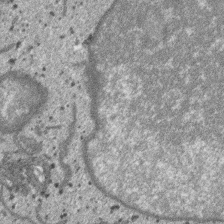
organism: Human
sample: Lung epithelial cells infected with SARS-CoV-2